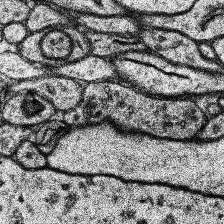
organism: Human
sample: Temporal Lobe